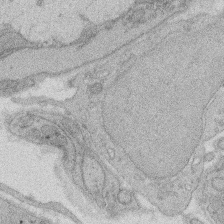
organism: Rat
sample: Salivary granule